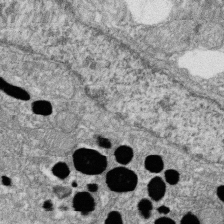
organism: Zebrafish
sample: Cilia; retinal pigment epithelium